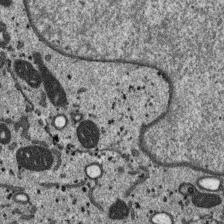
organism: Human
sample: Lung epithelial cells infected with SARS-CoV-2